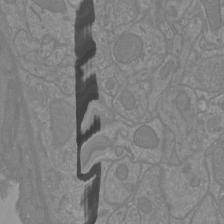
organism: Mouse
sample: Cortical neurons